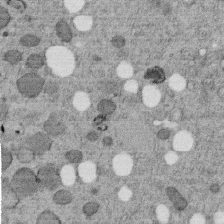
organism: C. elegans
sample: C. elegans embryo early stage